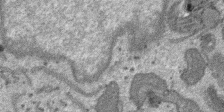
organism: Human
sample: Lung epithelial cells infected with SARS-CoV-2